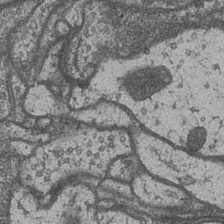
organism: Drosophila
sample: Optic medulla